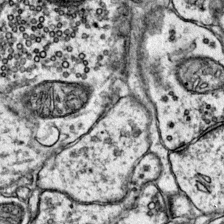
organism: Mouse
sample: Primary visual cortex